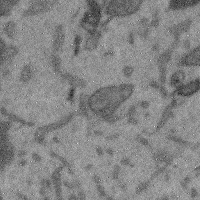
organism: Mouse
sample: Cerebral cortex